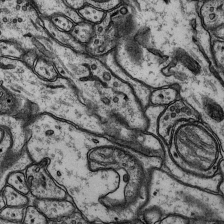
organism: Rat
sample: Hippocampus